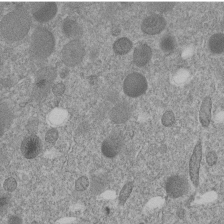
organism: C. elegans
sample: C. elegans embryo early stage